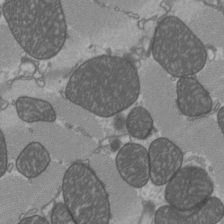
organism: C57BL Mouse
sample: Heart